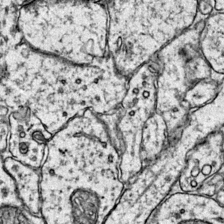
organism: Mouse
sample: Primary visual cortex